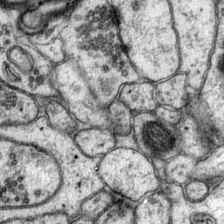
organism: Mouse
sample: Primary visual cortex